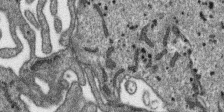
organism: Human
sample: Lung epithelial cells infected with SARS-CoV-2